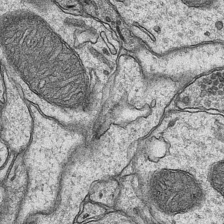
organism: Mouse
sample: CA1 Hippocampus